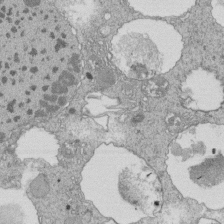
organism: Tetrahymena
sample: Cilia in tetrahymena